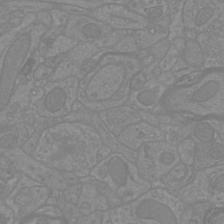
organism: Mouse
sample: Cortical neurons